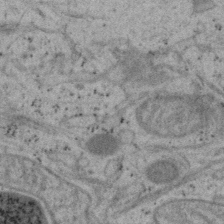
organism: Human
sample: HeLa cells